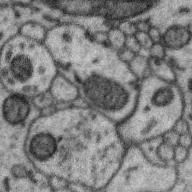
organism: Zebra finch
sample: Brain